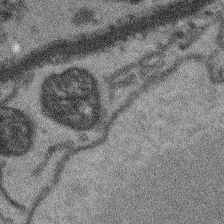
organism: Arabidopsis thaliana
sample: Root tip